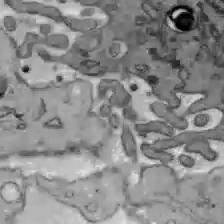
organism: C57BL Mouse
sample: Liver